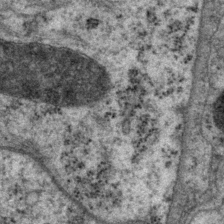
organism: P. pacificus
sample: Pharynx